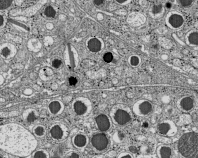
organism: C57BL Mouse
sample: Pancreatic islet